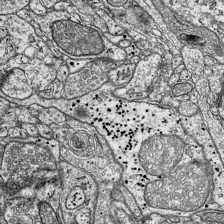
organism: Mouse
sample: Visual Cortex